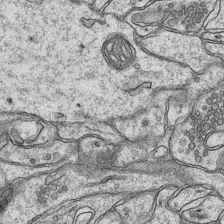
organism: Mouse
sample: CA1 Hippocampus